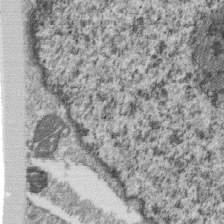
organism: African green monkey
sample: Vero E6 cells infected with SARS-CoV-2